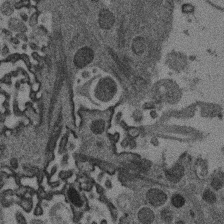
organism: Mouse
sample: Dividing mouse embryo 1 cell stage